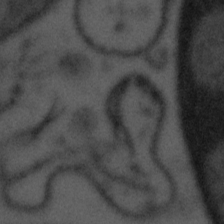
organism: Tuwongella immobilis